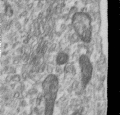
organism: Human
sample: Centriole in RPE cells